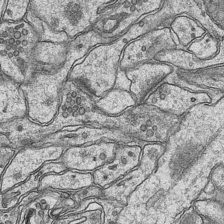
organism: Mouse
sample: CA1 Hippocampus